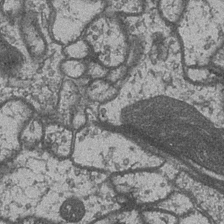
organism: Drosophila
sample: Optic medulla